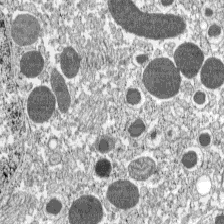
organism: C57BL Mouse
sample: Pancreatic islet